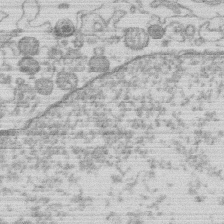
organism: Human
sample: Macrophage cells